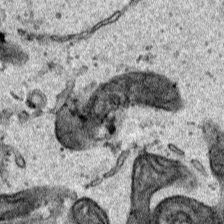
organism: Human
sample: Mitochondria in HCT116 cells